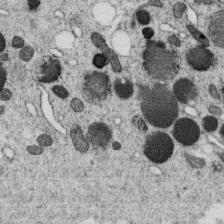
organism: C. elegans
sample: C. elegans oocyte; sperm cells